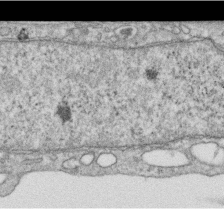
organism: Human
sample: Centriole in RPE cells